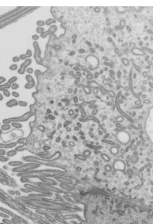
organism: Mouse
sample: Mouse epididymis efferent ductule cilia